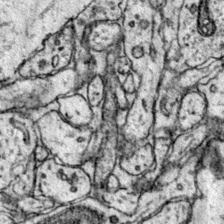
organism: Mouse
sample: Primary visual cortex